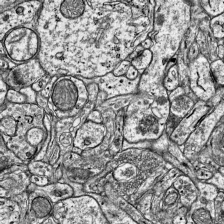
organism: Mouse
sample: Visual Cortex